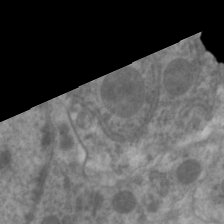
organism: C. elegans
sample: Pharynx